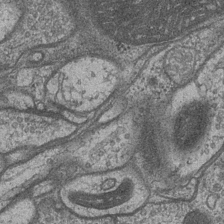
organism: Drosophila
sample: Optic medulla